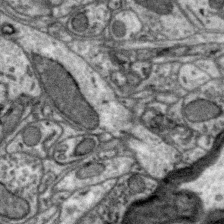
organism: Zebra finch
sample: Brain